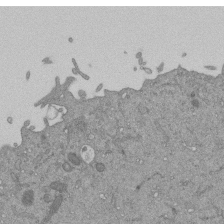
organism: Mouse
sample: ED-1 cell nuclei; centrioles